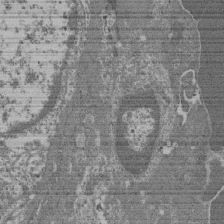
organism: Mouse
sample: Glomerulus